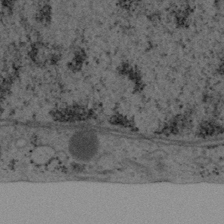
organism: Human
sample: HeLa cells